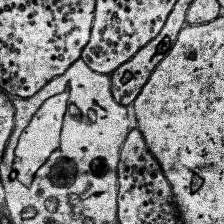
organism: Human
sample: Temporal Lobe